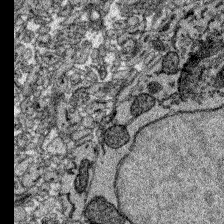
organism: Zebrafish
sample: Larval olfactory bulb